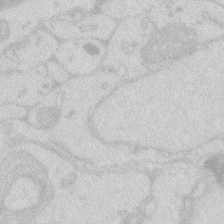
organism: Zebrafish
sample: Macrophage